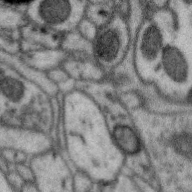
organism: Zebra finch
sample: Brain